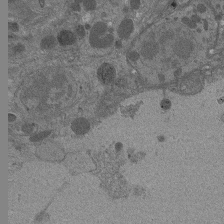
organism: Drosophila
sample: Antenna